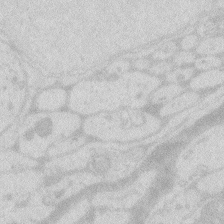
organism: Zebrafish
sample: Macrophage